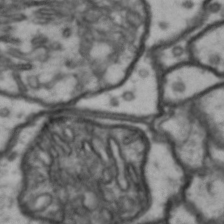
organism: Drosophila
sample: Brain